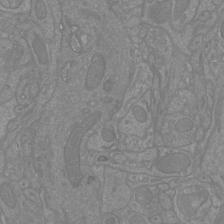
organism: Mouse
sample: Cortical neurons